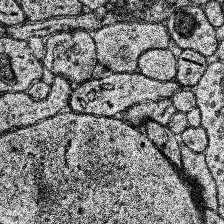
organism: Human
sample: Temporal Lobe